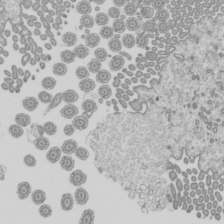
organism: Mouse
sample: Cilia; mouse epididymis